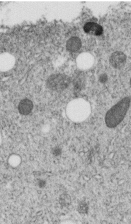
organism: C. elegans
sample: C. elegans embryo early stage